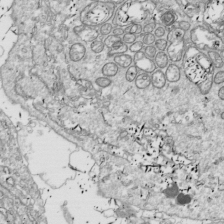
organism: Drosophila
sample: Cell division; meiosis; drosophila spermatocytes